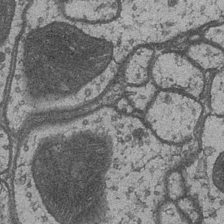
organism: Drosophila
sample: Optic medulla